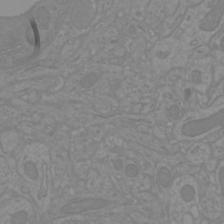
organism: Mouse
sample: Cortical neurons